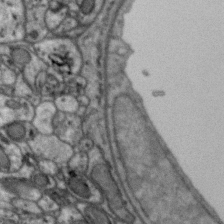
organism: Zebra finch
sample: Brain